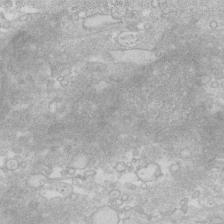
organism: Human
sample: Fibroblast cells